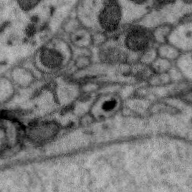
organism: Zebra finch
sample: Brain